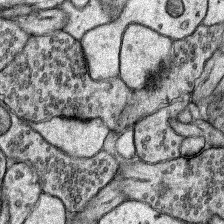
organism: Rat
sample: Hippocampus